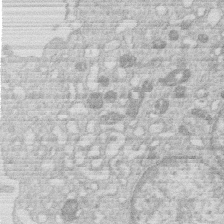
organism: Human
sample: Macrophage cells